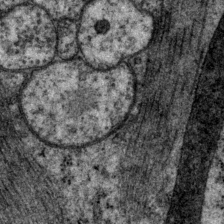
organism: P. pacificus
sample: Pharynx